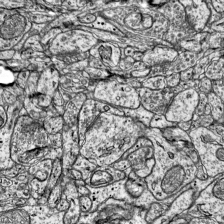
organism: Mouse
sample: Visual Cortex